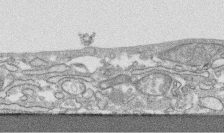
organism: Human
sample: CRL-1474